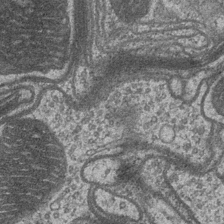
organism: Drosophila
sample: Optic medulla